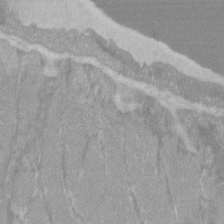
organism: C57BL Mouse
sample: Tibialis anterior muscle cell